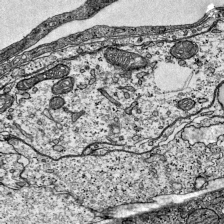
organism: Mouse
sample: Visual Cortex